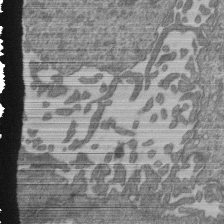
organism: Human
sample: Retinal organoid Rod and Cone cells